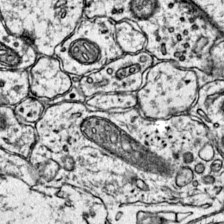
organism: Mouse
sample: Primary visual cortex